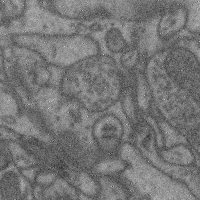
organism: Mouse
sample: Cerebral cortex